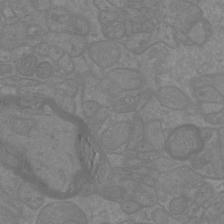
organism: Mouse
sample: Cortical neurons